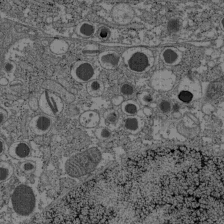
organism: C57BL Mouse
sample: Pancreatic islet